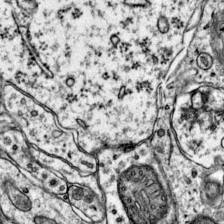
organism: Mouse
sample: Primary visual cortex